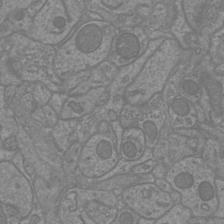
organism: Mouse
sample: Cortical neurons